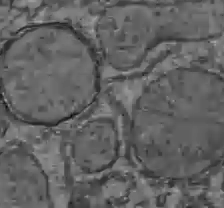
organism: C57BL Mouse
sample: Liver